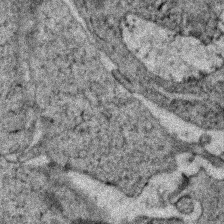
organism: Zebrafish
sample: Zebrafish embryo